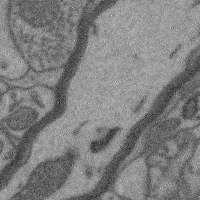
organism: Mouse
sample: Cerebral cortex